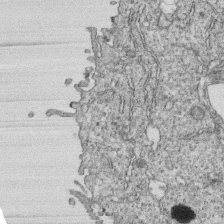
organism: Human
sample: HeLa cell HIV synapse